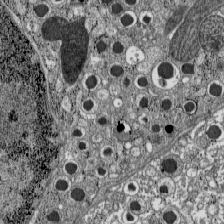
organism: C57BL Mouse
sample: Pancreatic islet